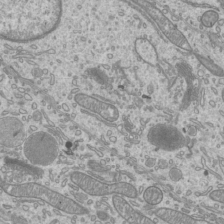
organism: Mouse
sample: Cilia; mouse epididymis